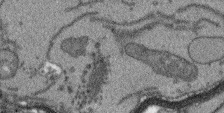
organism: Arabidopsis thaliana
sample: Root tip